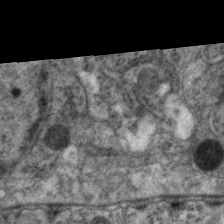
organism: C. elegans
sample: Pharynx